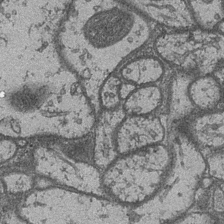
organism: Drosophila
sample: Optic medulla